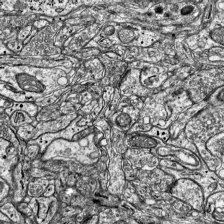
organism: Mouse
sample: Visual Cortex